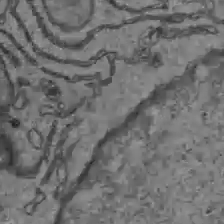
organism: C57BL Mouse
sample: Liver